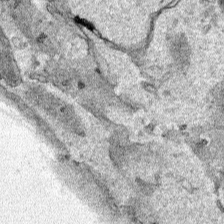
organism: Human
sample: Mitochondria in HCT116 cells